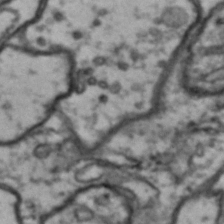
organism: Drosophila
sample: Brain